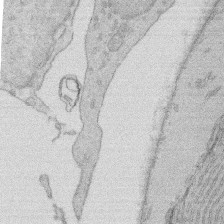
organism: Rat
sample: Salivary granule